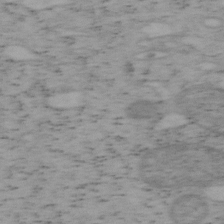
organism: Mouse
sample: OT-I killer T cells with ID8 ovarian cancer cells